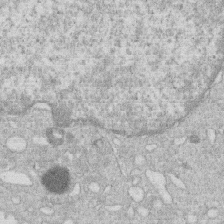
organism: Human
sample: Macrophage cells